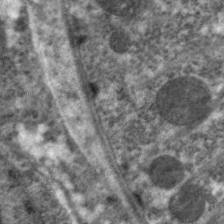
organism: C. elegans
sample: Pharynx